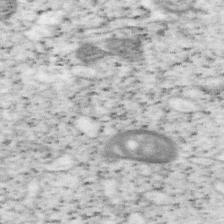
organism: Mouse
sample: OT-I killer T cells with ID8 ovarian cancer cells